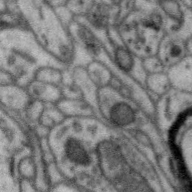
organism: Zebra finch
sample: Brain